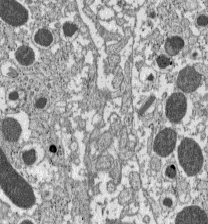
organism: C57BL Mouse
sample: Pancreatic islet